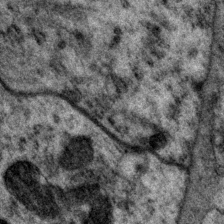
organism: P. pacificus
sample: Pharynx